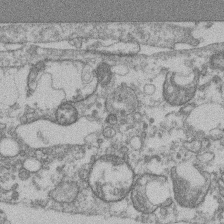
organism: Mouse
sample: T cell stromal cell synapse